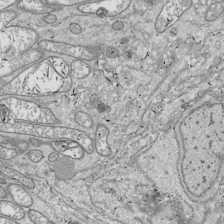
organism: Drosophila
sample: Cell division; meiosis; drosophila spermatocytes